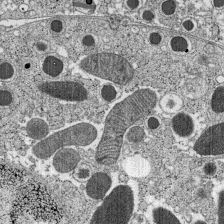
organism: C57BL Mouse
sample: Pancreatic islet